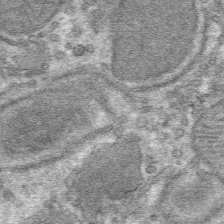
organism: Mouse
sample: Mouse hepatocytes